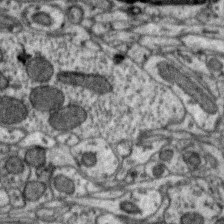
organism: Zebra finch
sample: Brain